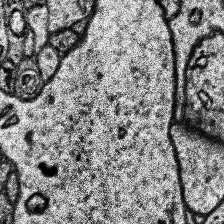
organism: Human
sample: Temporal Lobe